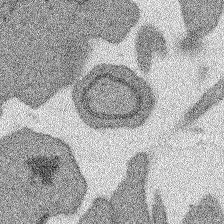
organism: Human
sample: HeLa cells